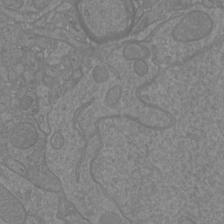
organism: Mouse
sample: Cortical neurons